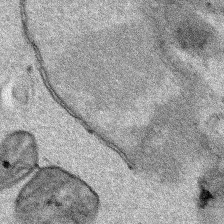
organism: Human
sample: Mitochondria in HCT116 cells